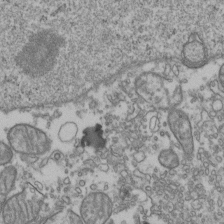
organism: Human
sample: Activated Jurkat CD4+ T cells